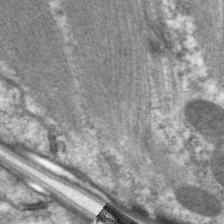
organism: C. elegans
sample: Pharynx